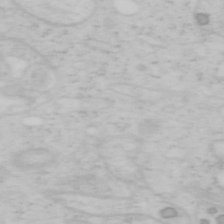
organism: Mouse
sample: OT-I killer T cells with ID8 ovarian cancer cells